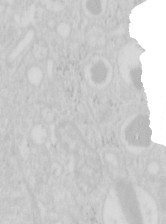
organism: Mouse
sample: Pancreas